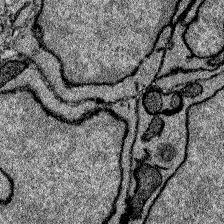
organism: Zebrafish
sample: Larval olfactory bulb